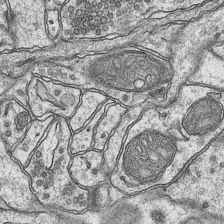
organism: Mouse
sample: CA1 Hippocampus